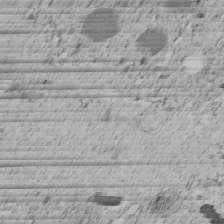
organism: C. elegans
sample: C. elegans embryo early stage